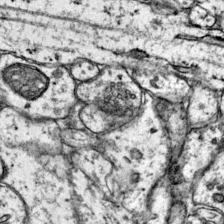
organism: Mouse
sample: Primary visual cortex